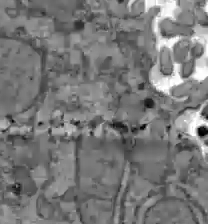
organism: C57BL Mouse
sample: Liver